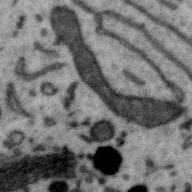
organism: Zebra finch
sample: Brain